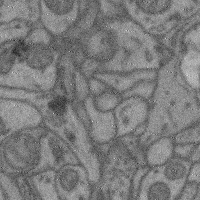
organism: Mouse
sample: Cerebral cortex